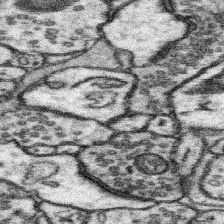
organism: Mouse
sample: Somatosensory cortex neuropil